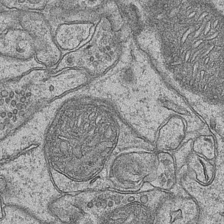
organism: Mouse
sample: CA1 Hippocampus